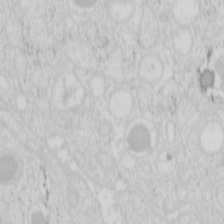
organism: Mouse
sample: Pancreas